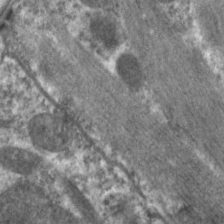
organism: C. elegans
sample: Pharynx